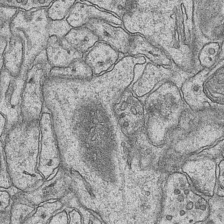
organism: Mouse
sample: CA1 Hippocampus